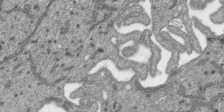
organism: Human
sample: Lung epithelial cells infected with SARS-CoV-2